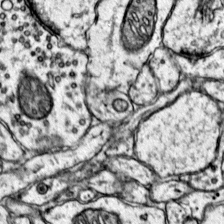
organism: Mouse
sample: Primary visual cortex